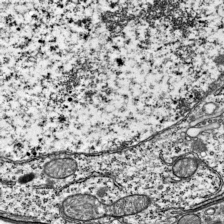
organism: Mouse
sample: Visual Cortex